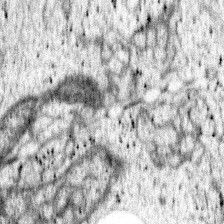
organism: Human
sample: HeLa cells